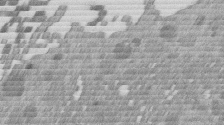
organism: Mouse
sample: Dividing mouse embryo 1 cell stage